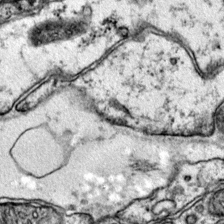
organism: Mouse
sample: Primary visual cortex